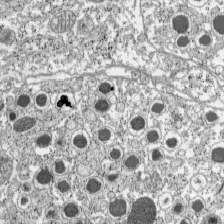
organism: C57BL Mouse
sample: Pancreatic islet